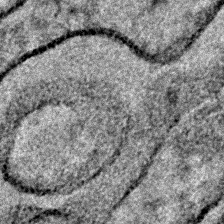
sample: Trachea